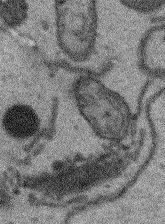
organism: Arabidopsis thaliana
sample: Root tip